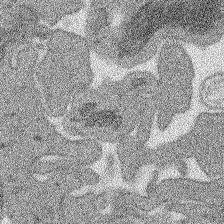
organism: Human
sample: HeLa cells